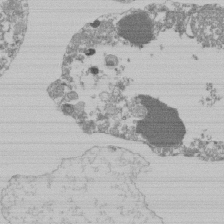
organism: Mouse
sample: Activated Pmel transgenic CD8+ T Cells